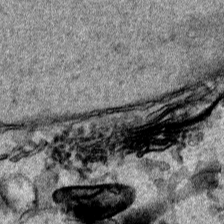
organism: Human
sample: Mitochondria in HCT116 cells